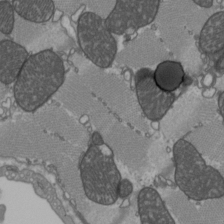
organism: C57BL Mouse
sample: Heart